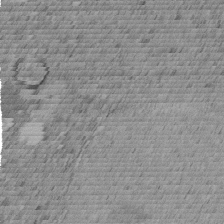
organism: C. elegans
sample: C. elegans embryo early stage